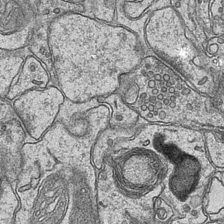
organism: Mouse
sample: CA1 Hippocampus